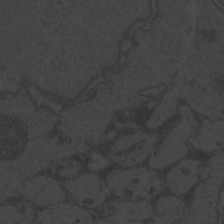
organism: Zebrafish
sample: Macrophage infected with Toxoplasma gondii